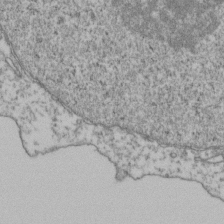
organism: Human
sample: Activated Jurkat CD4+ T cells